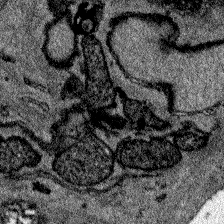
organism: Zebrafish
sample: Larval olfactory bulb